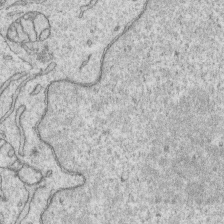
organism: Human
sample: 1205lu cells